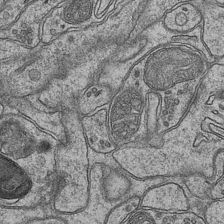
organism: Mouse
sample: CA1 Hippocampus